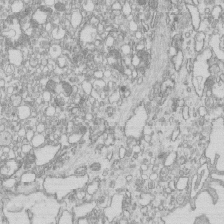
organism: Mouse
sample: Macrophages